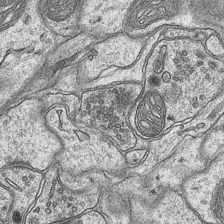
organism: Mouse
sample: CA1 Hippocampus